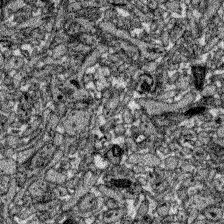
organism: Zebrafish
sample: Larval olfactory bulb